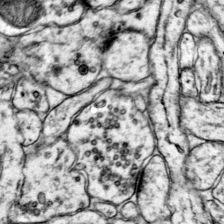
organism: Mouse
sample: Primary visual cortex